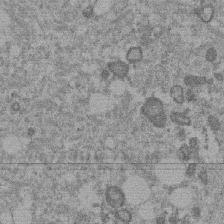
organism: Mouse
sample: Dividing mouse embryo 1 cell stage